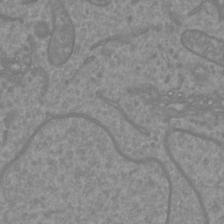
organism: Mouse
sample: Cortical neurons